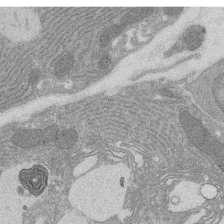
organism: Rat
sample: Salivary granule